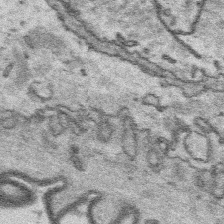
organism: Platynereis dumerilii